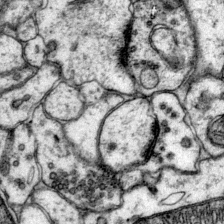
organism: Mouse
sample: Primary visual cortex